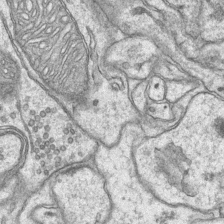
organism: Mouse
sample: CA1 Hippocampus